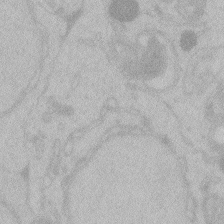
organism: Zebrafish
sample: Macrophage infected with Toxoplasma gondii